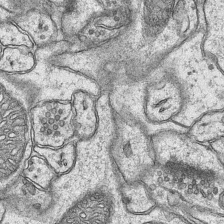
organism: Mouse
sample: CA1 Hippocampus